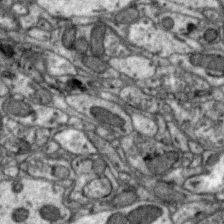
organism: Zebra finch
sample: Brain